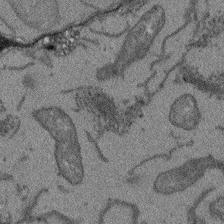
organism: Arabidopsis thaliana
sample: Root tip